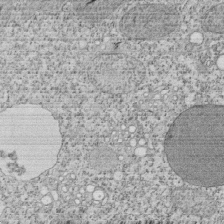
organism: Tetrahymena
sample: Cilia in tetrahymena